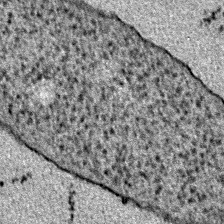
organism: E. coli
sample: E. Coli Bacteria